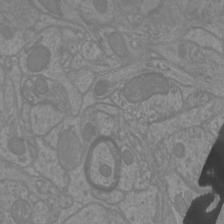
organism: Mouse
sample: Cortical neurons